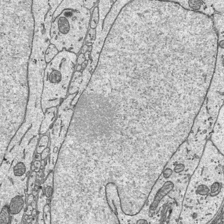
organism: Mouse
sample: Suprachiasmatic nucleus